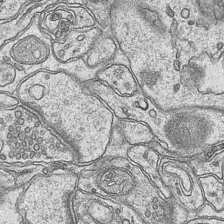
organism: Mouse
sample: CA1 Hippocampus